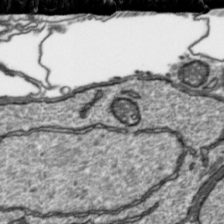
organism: Toxoplasma gondii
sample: Parasites in a vacuole inside a host cell